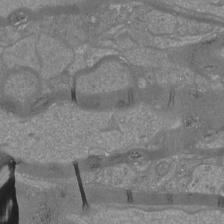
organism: Mouse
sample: Cortical neurons